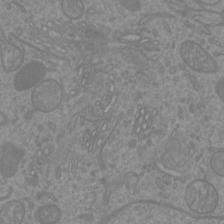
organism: Mouse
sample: Cortical neurons